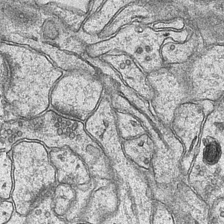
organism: Mouse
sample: CA1 Hippocampus